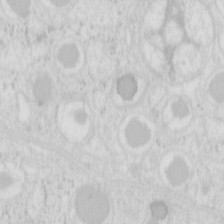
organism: Mouse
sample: Pancreas